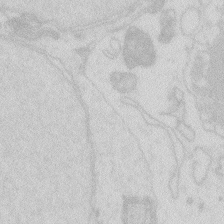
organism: Zebrafish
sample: Macrophage